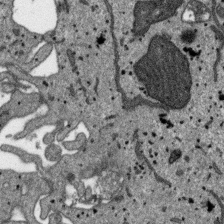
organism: Human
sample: Lung epithelial cells, uninfected (mock) control